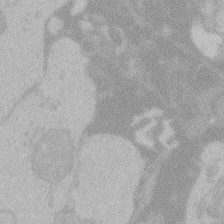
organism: Zebrafish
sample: Macrophage infected with Toxoplasma gondii